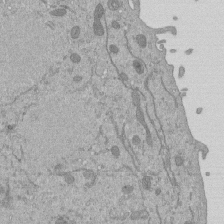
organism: Mouse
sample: ED-1 cell nuclei; centrioles